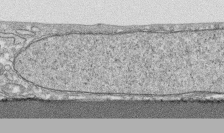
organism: Human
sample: CRL-1474